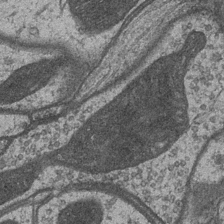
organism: Drosophila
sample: Optic medulla